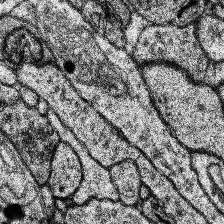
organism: Human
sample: Temporal Lobe